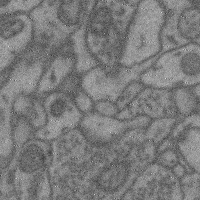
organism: Mouse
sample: Cerebral cortex